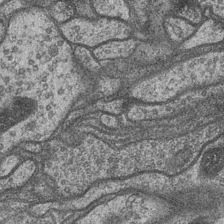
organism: Drosophila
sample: Optic medulla